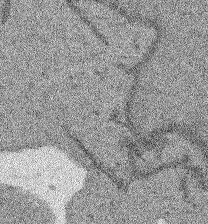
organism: Human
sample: HeLa cells